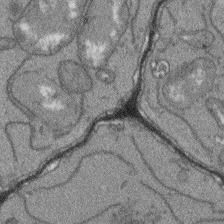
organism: Arabidopsis thaliana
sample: Root tip